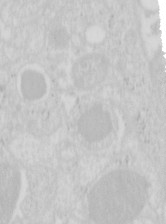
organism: Mouse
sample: Pancreas